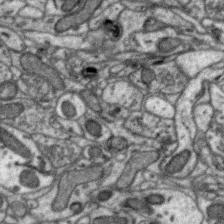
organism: Zebra finch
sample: Brain